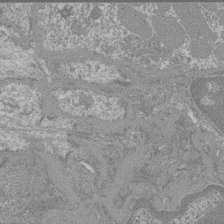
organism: Mouse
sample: Glomerulus